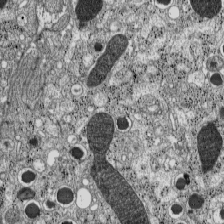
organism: C57BL Mouse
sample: Pancreatic islet